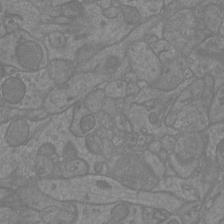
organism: Mouse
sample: Cortical neurons